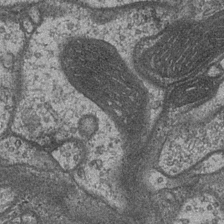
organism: Drosophila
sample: Optic medulla